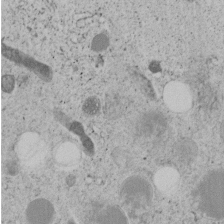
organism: C. elegans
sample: C. elegans embryo early stage